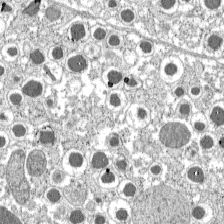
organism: C57BL Mouse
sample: Pancreatic islet